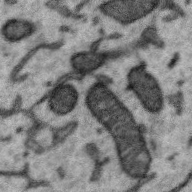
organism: Zebra finch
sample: Brain